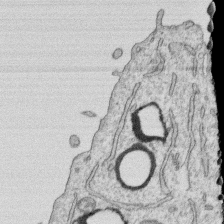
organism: Human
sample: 1205lu cells